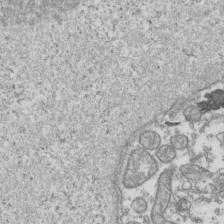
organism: Human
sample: Activated Jurkat CD4+ T cells